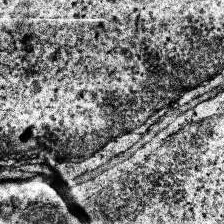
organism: Human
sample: Temporal Lobe